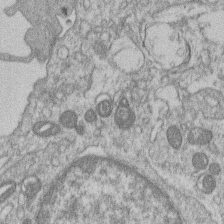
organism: Human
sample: Macrophage cells